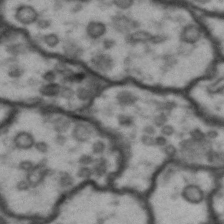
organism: Drosophila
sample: Brain